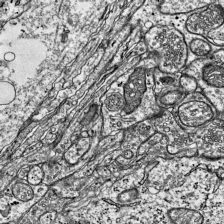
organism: Mouse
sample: Visual Cortex